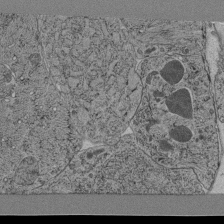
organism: C. elegans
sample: C. elegans pharynx